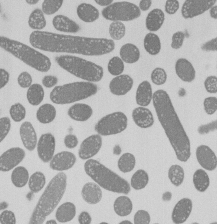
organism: E. coli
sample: Bacterial nucleoid